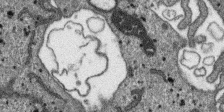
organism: Human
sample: Lung epithelial cells infected with SARS-CoV-2